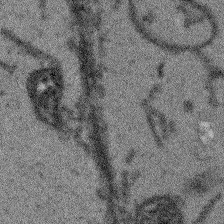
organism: Arabidopsis thaliana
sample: Root tip